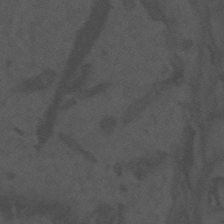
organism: Mouse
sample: Suprachiasmatic nucleus